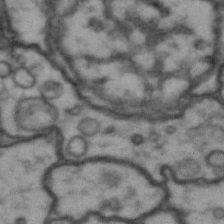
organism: Drosophila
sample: Brain